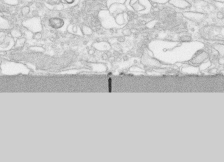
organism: Human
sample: CRL-1474